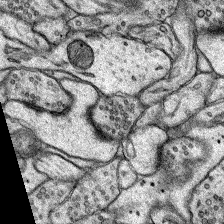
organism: Rat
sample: Hippocampus